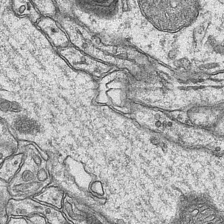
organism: Mouse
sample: CA1 Hippocampus